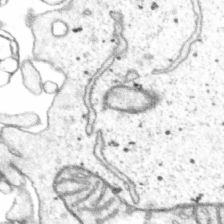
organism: Human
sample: HeLa cells